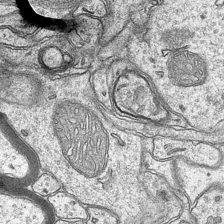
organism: Mouse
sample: CA1 Hippocampus